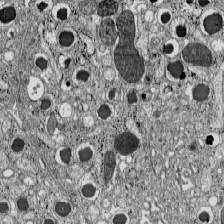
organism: C57BL Mouse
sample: Pancreatic islet